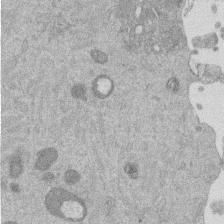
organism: Mouse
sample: Dividing mouse embryo 1 cell stage